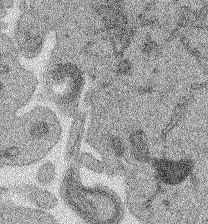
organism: Human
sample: HeLa cells